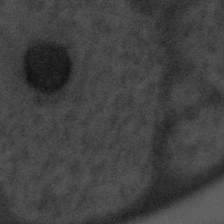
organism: Tuwongella immobilis